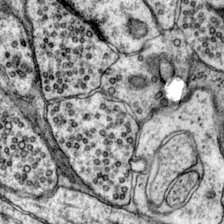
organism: Mouse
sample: Primary visual cortex